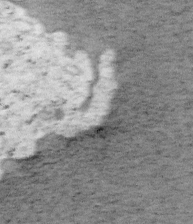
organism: Mouse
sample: OT-I killer T cells with ID8 ovarian cancer cells